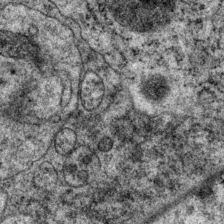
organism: P. pacificus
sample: Pharynx